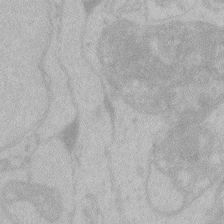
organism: Zebrafish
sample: Macrophage infected with Toxoplasma gondii